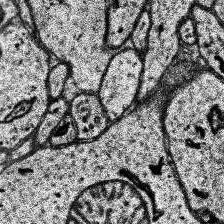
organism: Human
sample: Temporal Lobe